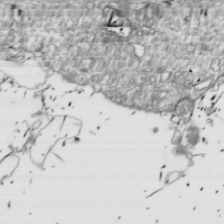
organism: Drosophila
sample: Cell division; meiosis; drosophila spermatocytes